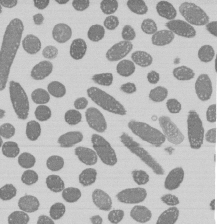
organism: E. coli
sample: Bacterial nucleoid